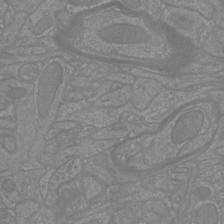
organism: Mouse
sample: Cortical neurons